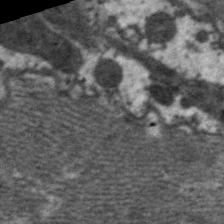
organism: C. elegans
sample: Pharynx